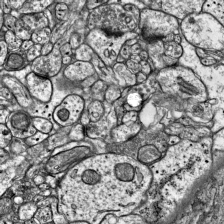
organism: Mouse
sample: Visual Cortex